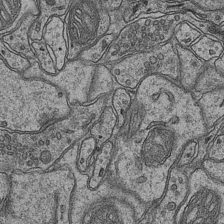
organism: Mouse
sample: CA1 Hippocampus